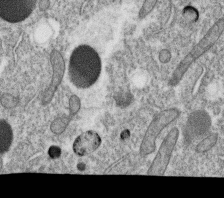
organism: C. elegans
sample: C. elegans oocyte; sperm cells